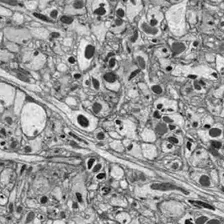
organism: Drosophila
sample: Optic lobe